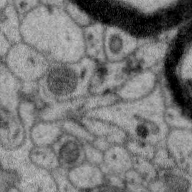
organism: Zebra finch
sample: Brain